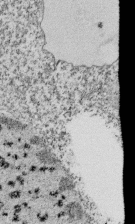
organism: Tetrahymena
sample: Cilia in tetrahymena